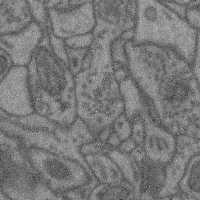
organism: Mouse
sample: Cerebral cortex